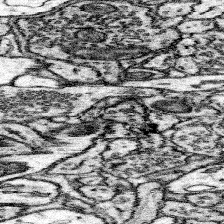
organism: Mouse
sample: Somatosensory cortex neuropil